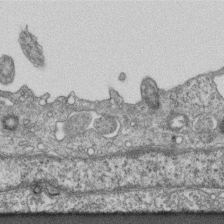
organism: Mouse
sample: Centriole in ependymal cells